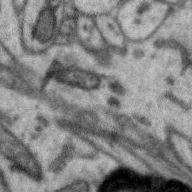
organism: Zebra finch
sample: Brain